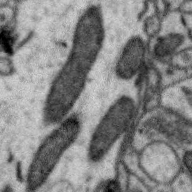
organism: Zebra finch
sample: Brain